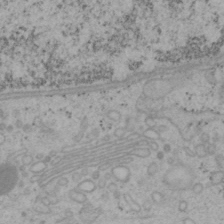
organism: Human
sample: HeLa cells